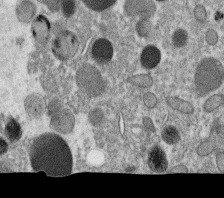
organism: C. elegans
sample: C. elegans oocyte; sperm cells